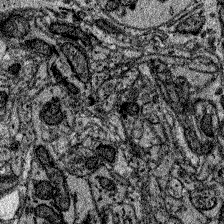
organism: Zebrafish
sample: Larval olfactory bulb